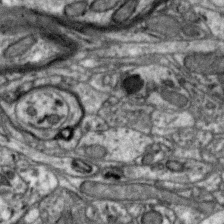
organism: Zebra finch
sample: Brain